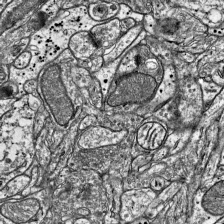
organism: Mouse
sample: Visual Cortex